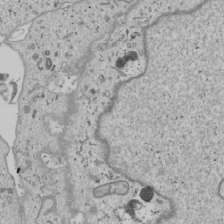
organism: Human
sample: Mitochondria in U2OS cells